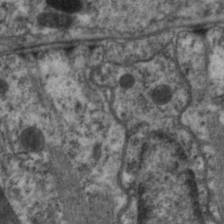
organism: C. elegans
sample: Pharynx